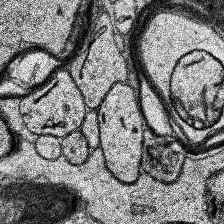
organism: Human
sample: Temporal Lobe